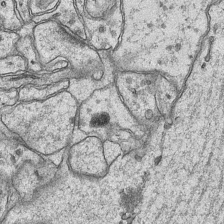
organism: Mouse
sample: CA1 Hippocampus